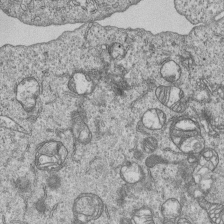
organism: Human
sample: MDA-MB-231 cells